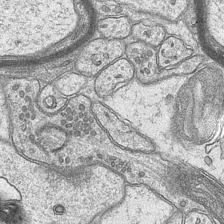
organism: Mouse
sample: CA1 Hippocampus